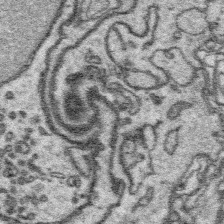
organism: Platynereis dumerilii